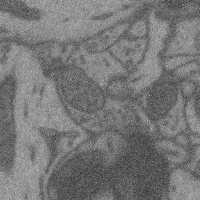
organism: Mouse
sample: Cerebral cortex